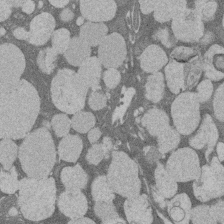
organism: Rat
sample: Salivary granule